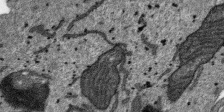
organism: Human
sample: Lung epithelial cells, uninfected (mock) control